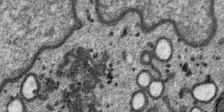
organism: Human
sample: Lung epithelial cells infected with SARS-CoV-2